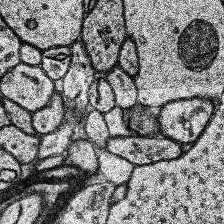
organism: Human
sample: Temporal Lobe